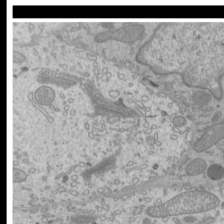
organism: Mouse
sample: Cilia; mouse epididymis